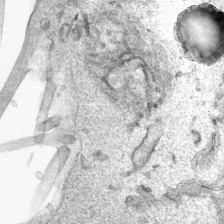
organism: Human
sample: Mitochondria in HCT116 cells